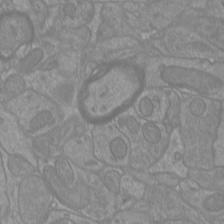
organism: Mouse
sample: Cortical neurons